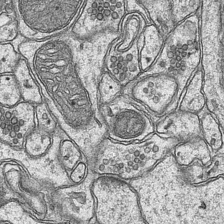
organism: Mouse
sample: CA1 Hippocampus